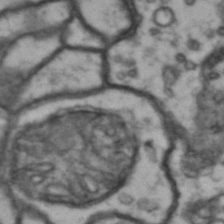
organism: Drosophila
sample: Brain